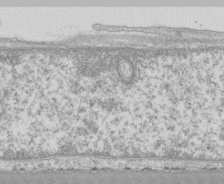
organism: Human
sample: CRL-1474